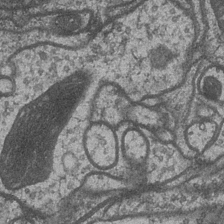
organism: Drosophila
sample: Optic medulla